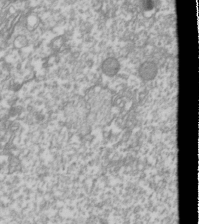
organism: Drosophila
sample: Cell division; meiosis; drosophila spermatocytes